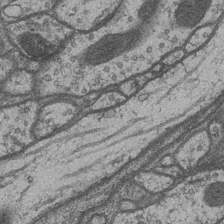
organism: Drosophila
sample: Optic medulla